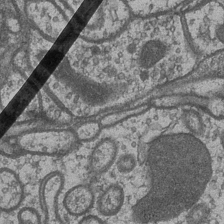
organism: Drosophila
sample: Optic medulla